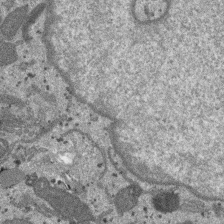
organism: Human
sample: Lung epithelial cells infected with SARS-CoV-2